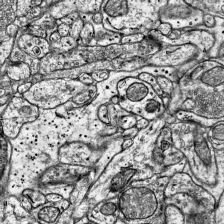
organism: Mouse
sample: Visual Cortex